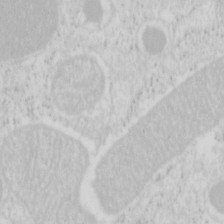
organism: Mouse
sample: Pancreas